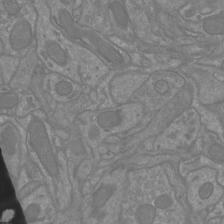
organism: Mouse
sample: Cortical neurons